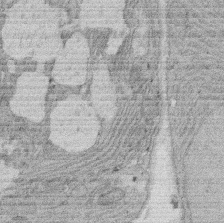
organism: Rat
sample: Salivary granule